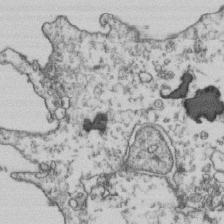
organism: Human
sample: Activated Jurkat CD4+ T cells